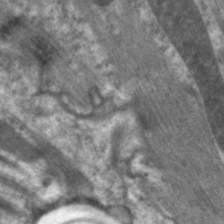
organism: C. elegans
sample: Pharynx